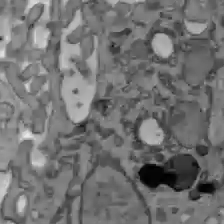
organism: C57BL Mouse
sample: Liver